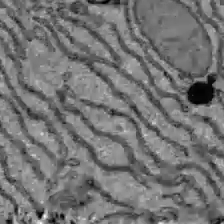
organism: C57BL Mouse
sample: Liver